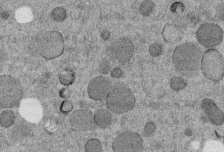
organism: C. elegans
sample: C. elegans embryo early stage